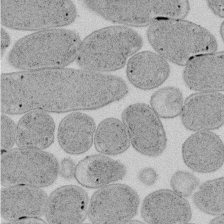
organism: E. coli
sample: Bacterial nucleoid